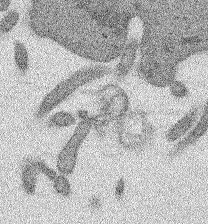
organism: Human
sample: HeLa cells